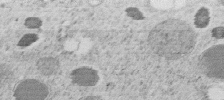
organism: C. elegans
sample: C. elegans embryo early stage